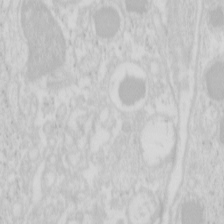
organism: Mouse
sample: Pancreas